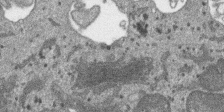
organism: Human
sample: Lung epithelial cells infected with SARS-CoV-2